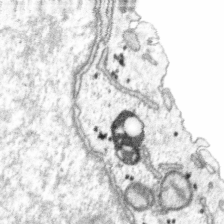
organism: Human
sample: HeLa cells